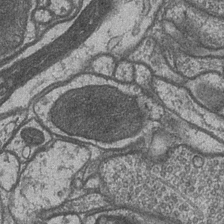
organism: Drosophila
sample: Optic medulla